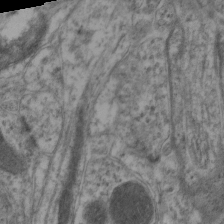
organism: Mouse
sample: Neocortex